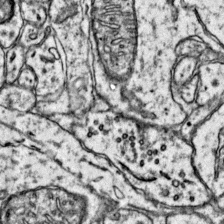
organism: Mouse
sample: Primary visual cortex